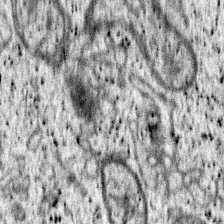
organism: Human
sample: HeLa cells